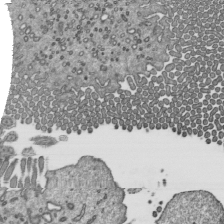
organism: Mouse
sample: Mouse epididymis efferent ductule cilia